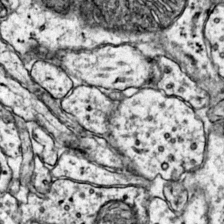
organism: Mouse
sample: Primary visual cortex